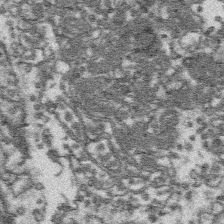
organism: Platynereis dumerilii